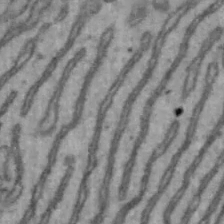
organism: Mouse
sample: Liver